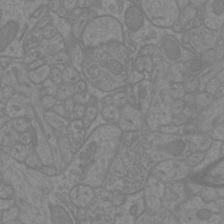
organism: Mouse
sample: Cortical neurons